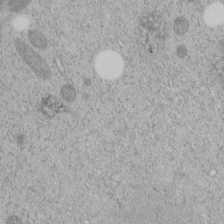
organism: C. elegans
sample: C. elegans embryo early stage